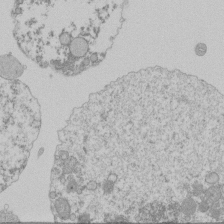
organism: Mouse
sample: Activated Pmel transgenic CD8+ T Cells